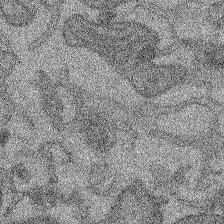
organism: Human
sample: HeLa cells